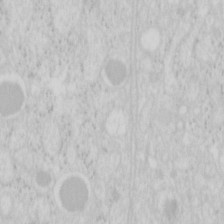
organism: Mouse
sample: Pancreas